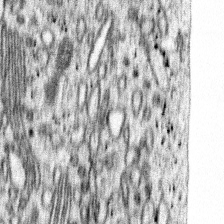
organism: Human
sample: HeLa cells